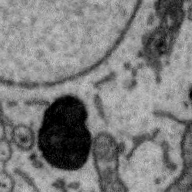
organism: Zebra finch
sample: Brain